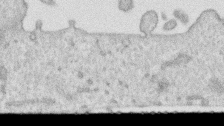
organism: Human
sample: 1205lu cells